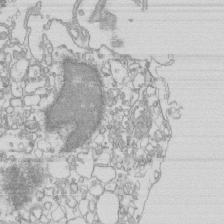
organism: Mouse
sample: Macrophages